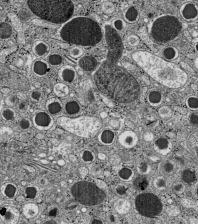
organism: C57BL Mouse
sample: Pancreatic islet